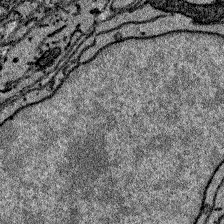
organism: Zebrafish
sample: Larval olfactory bulb